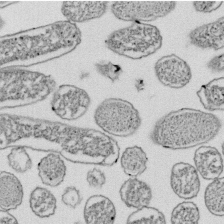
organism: E. coli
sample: Bacterial nucleoid